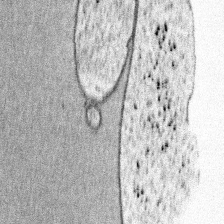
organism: Human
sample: HeLa cells